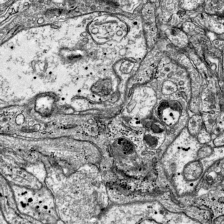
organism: Mouse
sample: Visual Cortex